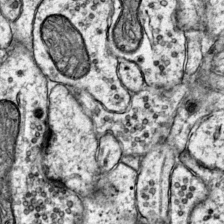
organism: Mouse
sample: Primary visual cortex